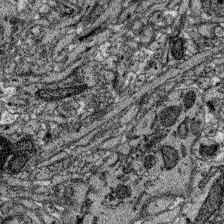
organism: Zebrafish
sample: Larval olfactory bulb